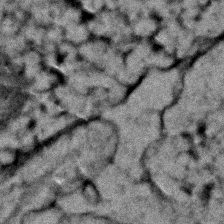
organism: Zebrafish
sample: Zebrafish embryo